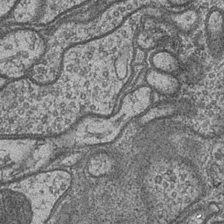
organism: Drosophila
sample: Optic medulla